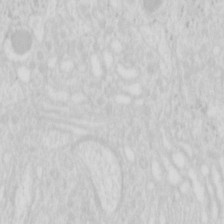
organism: Mouse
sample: Pancreas